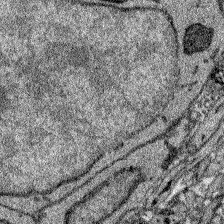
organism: Zebrafish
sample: Larval olfactory bulb